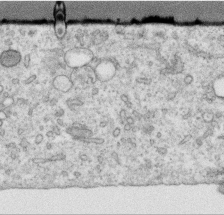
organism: Human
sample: Centriole in RPE cells